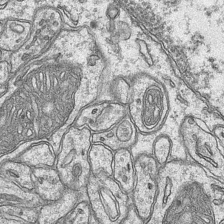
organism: Mouse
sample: CA1 Hippocampus